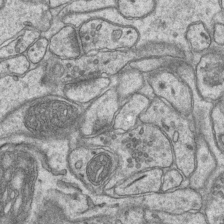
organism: Mouse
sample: CA1 Hippocampus